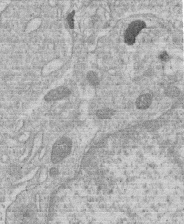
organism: Human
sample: Macrophage cells